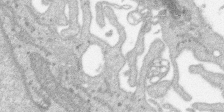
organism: Human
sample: Lung epithelial cells infected with SARS-CoV-2